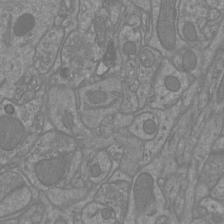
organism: Mouse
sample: Cortical neurons